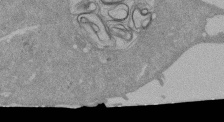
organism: Mouse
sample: ED-1 cell nuclei; centrioles